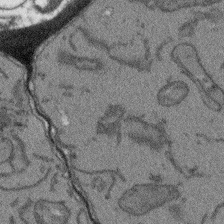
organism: Arabidopsis thaliana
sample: Root tip